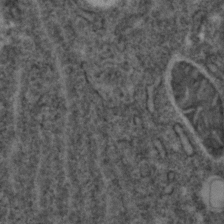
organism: C. elegans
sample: C. elegans embryo